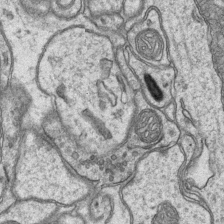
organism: Mouse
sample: CA1 Hippocampus